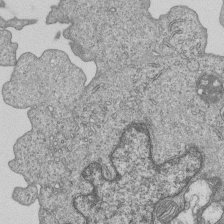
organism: Human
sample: MDA-MB-231 cells